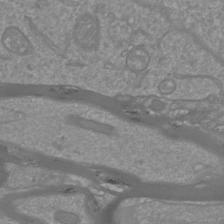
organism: Mouse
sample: Cortical neurons